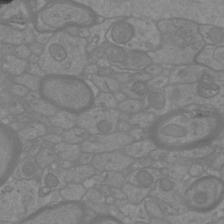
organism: Mouse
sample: Cortical neurons